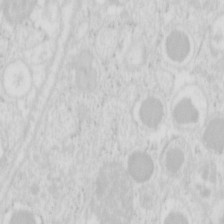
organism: Mouse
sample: Pancreas